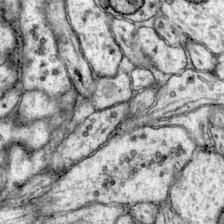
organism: Mouse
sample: Primary visual cortex